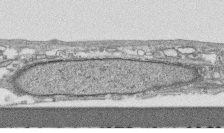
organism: Human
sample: CRL-1474